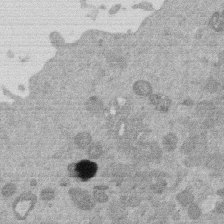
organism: Mouse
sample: Dividing mouse embryo 1 cell stage